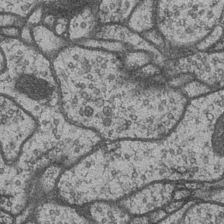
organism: Drosophila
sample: Optic medulla